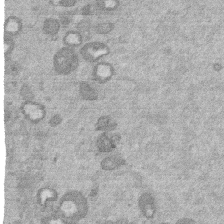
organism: Mouse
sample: Dividing mouse embryo 1 cell stage